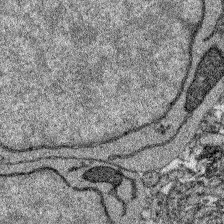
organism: Zebrafish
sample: Larval olfactory bulb